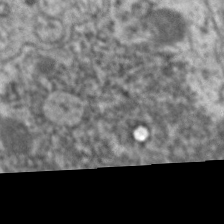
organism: C. elegans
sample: Pharynx